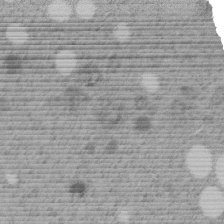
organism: C. elegans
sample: C. elegans embryo early stage